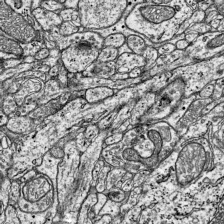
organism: Mouse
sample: Visual Cortex